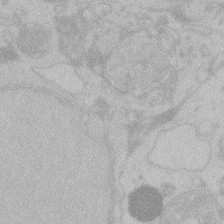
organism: Zebrafish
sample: Macrophage infected with Toxoplasma gondii